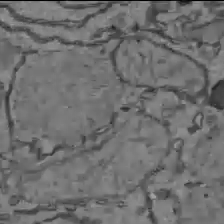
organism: C57BL Mouse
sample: Liver